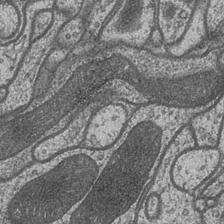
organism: Drosophila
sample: Optic medulla